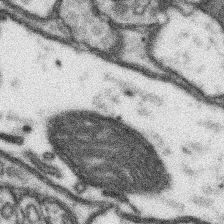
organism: Mouse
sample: Somatosensory cortex neuropil